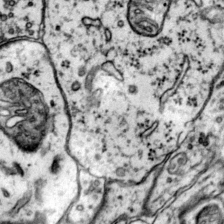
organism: Mouse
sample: Primary visual cortex